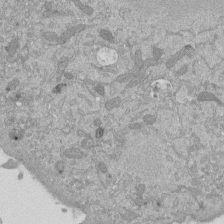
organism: Mouse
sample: ED-1 cell nuclei; centrioles